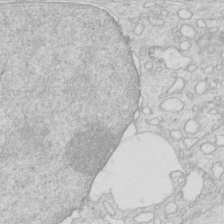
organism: Mouse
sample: Multiciliated cells